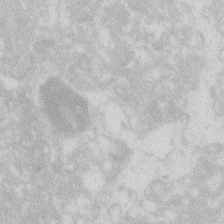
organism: Zebrafish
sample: Macrophage